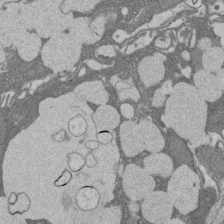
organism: Rat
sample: Salivary granule